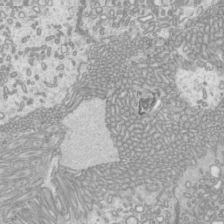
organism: Mouse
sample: Cilia; mouse epididymis